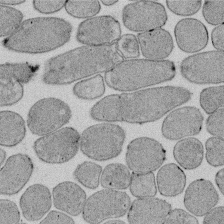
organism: E. coli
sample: Bacterial nucleoid